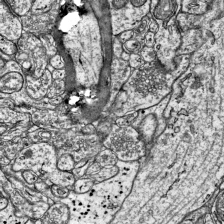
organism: Mouse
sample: Visual Cortex